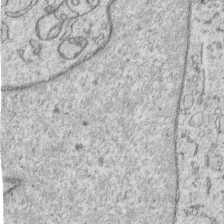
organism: Human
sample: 1205lu cells